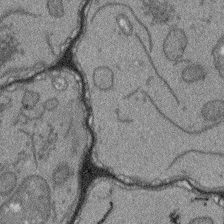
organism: Arabidopsis thaliana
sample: Root tip